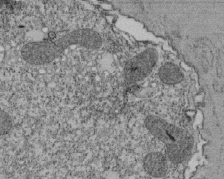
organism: Tetrahymena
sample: Cilia in tetrahymena